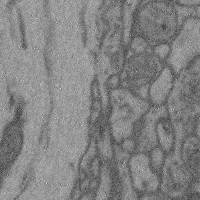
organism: Mouse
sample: Cerebral cortex